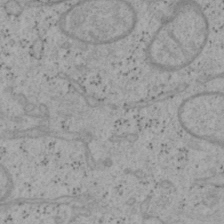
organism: Human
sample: HeLa cells